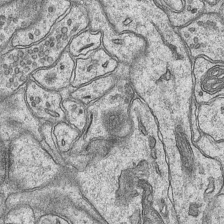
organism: Mouse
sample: CA1 Hippocampus